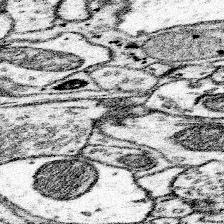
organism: Mouse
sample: Somatosensory cortex neuropil